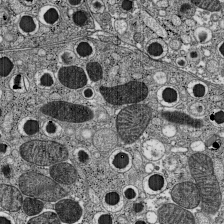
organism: C57BL Mouse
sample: Pancreatic islet